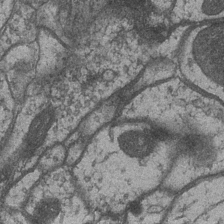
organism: Drosophila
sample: Optic medulla